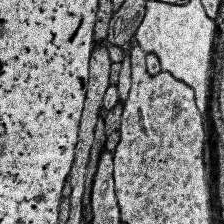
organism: Human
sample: Temporal Lobe